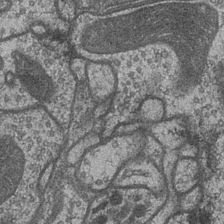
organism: Drosophila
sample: Optic medulla